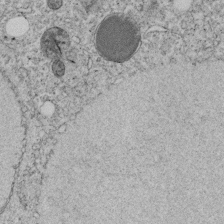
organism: C. elegans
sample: C. elegans embryo early stage